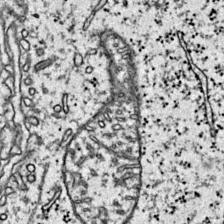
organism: Mouse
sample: Primary visual cortex